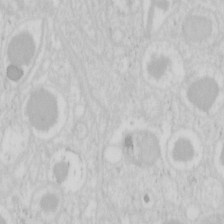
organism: Mouse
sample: Pancreas